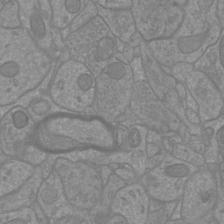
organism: Mouse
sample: Cortical neurons